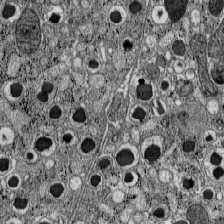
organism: C57BL Mouse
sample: Pancreatic islet